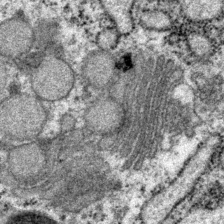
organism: P. pacificus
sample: Pharynx